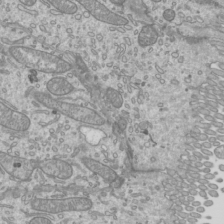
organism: Mouse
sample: Cilia; mouse epididymis